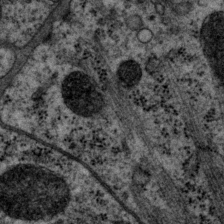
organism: P. pacificus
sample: Pharynx